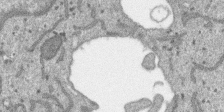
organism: Human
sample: Lung epithelial cells infected with SARS-CoV-2